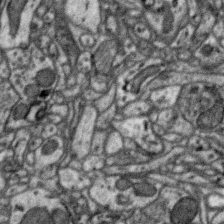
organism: Zebra finch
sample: Brain